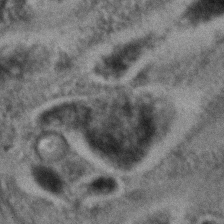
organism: C. elegans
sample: C. elegans embryo